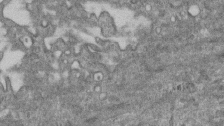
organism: Mouse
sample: Centriole in ependymal cells